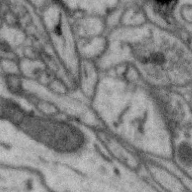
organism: Zebra finch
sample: Brain